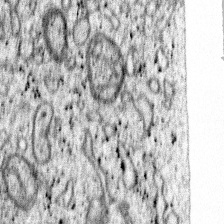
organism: Human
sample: HeLa cells